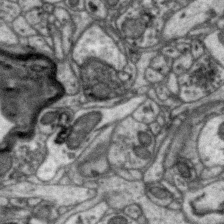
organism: Zebra finch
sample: Brain